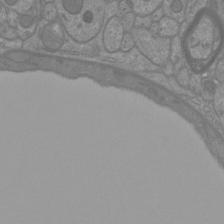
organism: Mouse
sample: Cortical neurons